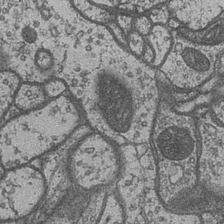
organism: Drosophila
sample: Optic medulla